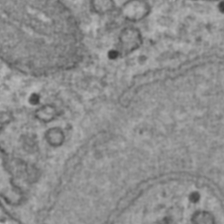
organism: Human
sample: Blood